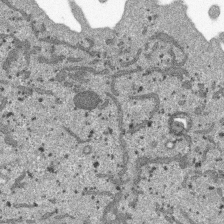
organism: Human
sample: Lung epithelial cells infected with SARS-CoV-2